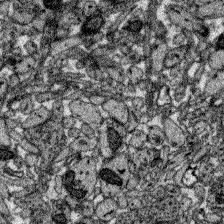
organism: Zebrafish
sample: Larval olfactory bulb